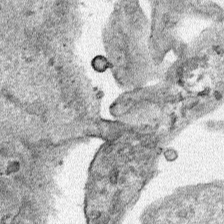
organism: Human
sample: Mitochondria in HCT116 cells